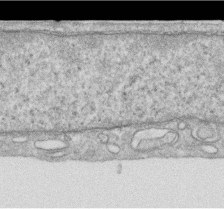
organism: Human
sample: Centriole in RPE cells